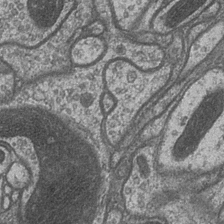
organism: Drosophila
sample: Optic medulla